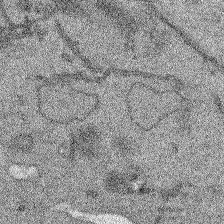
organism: Human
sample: HeLa cells